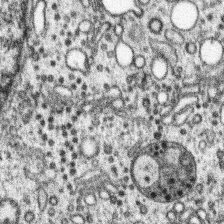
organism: Human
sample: HeLa cells